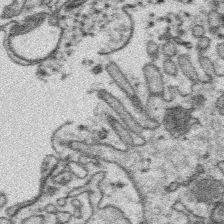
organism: Platynereis dumerilii